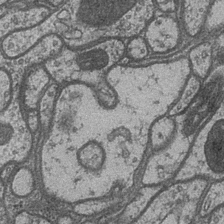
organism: Drosophila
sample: Optic medulla